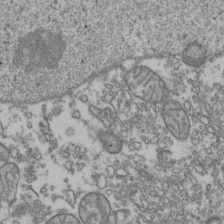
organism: Human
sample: Activated Jurkat CD4+ T cells